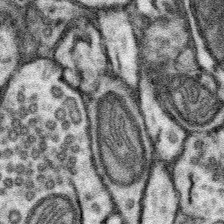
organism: Mouse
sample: Somatosensory cortex neuropil